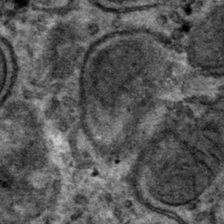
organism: Mouse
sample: Mouse hepatocytes